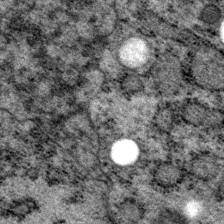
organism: P. pacificus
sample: Pharynx